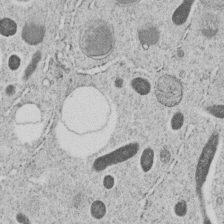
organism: C. elegans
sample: C. elegans embryo early stage